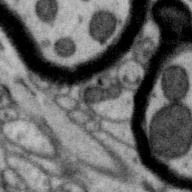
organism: Zebra finch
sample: Brain